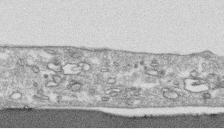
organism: Human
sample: CRL-1474